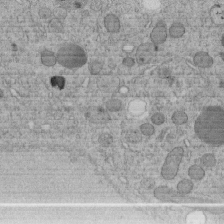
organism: C. elegans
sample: C. elegans embryo early stage